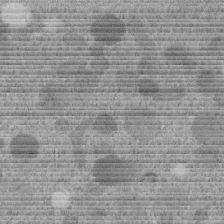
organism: C. elegans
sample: C. elegans embryo early stage